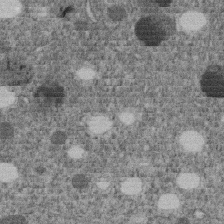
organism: C. elegans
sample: C. elegans embryo early stage